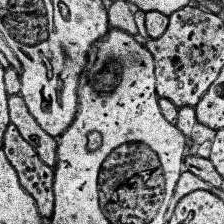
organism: Human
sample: Temporal Lobe